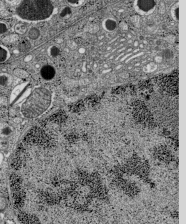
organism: C57BL Mouse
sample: Pancreatic islet